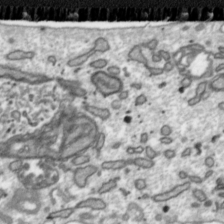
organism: Toxoplasma gondii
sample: Parasites in a vacuole inside a host cell